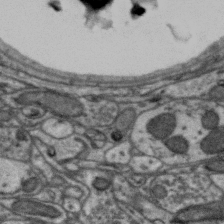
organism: Zebra finch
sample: Brain